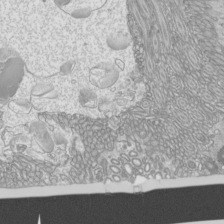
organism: Mouse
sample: Cilia; mouse epididymis